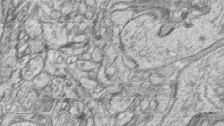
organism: Zebrafish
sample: synaptic ribbons in rod cells and cone cells